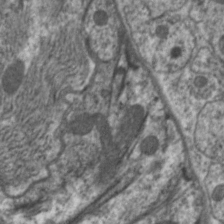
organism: C. elegans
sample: Pharynx